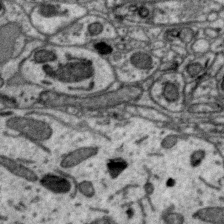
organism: Zebra finch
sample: Brain